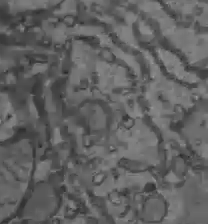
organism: C57BL Mouse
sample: Liver